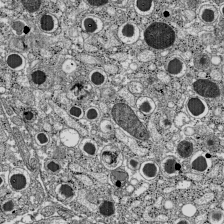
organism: C57BL Mouse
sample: Pancreatic islet